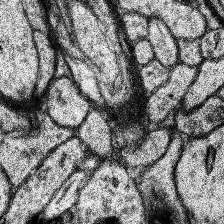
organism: Human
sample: Temporal Lobe